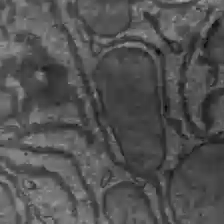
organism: C57BL Mouse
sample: Liver